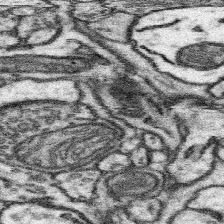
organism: Mouse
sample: Somatosensory cortex neuropil